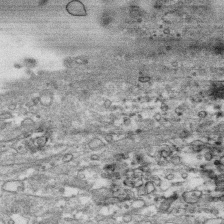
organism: Human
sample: CRL-1474